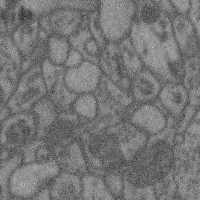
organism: Mouse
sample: Cerebral cortex